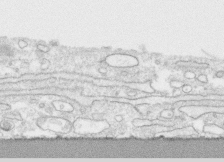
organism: Human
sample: CRL-1474